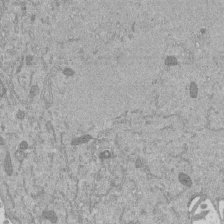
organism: Mouse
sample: ED-1 cell nuclei; centrioles